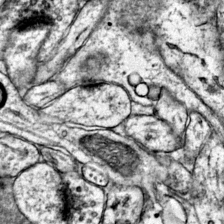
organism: Mouse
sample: Primary visual cortex